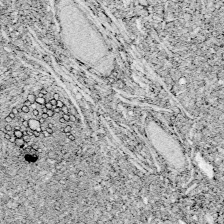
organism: Zebrafish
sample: Whole-Brain